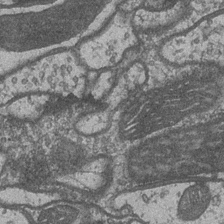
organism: Drosophila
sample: Optic medulla